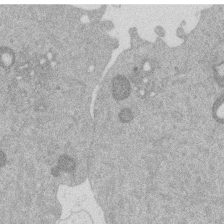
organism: Mouse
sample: Dividing mouse embryo 1 cell stage